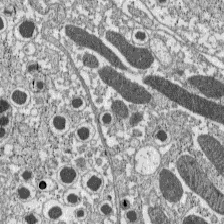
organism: C57BL Mouse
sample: Pancreatic islet